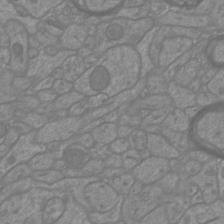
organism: Mouse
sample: Cortical neurons